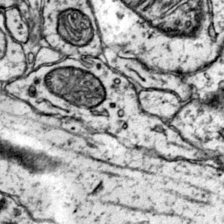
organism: Mouse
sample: Primary visual cortex